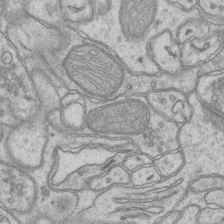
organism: Mouse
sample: CA1 Hippocampus